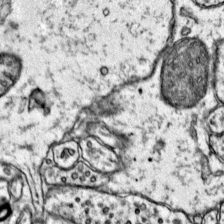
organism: Mouse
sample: Primary visual cortex